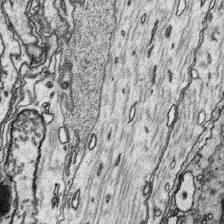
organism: Platynereis dumerilii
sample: Parapodia